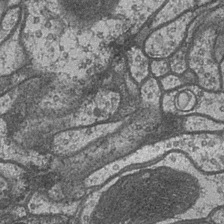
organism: Drosophila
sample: Optic medulla